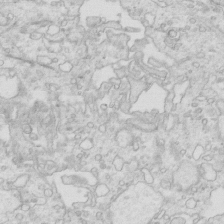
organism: Mouse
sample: Multiciliated cells